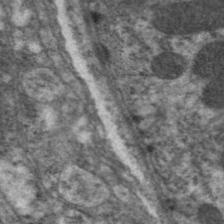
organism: C. elegans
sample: Pharynx